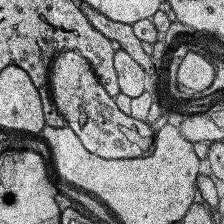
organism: Human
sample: Temporal Lobe